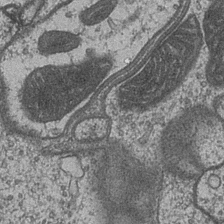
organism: Drosophila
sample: Optic medulla